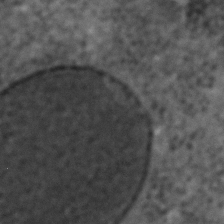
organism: C. elegans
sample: C. elegans embryo